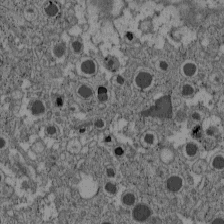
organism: C57BL Mouse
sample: Pancreatic islet